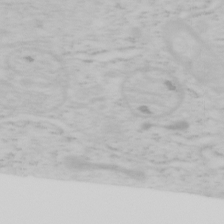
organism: Mouse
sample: OT-I killer T cells with ID8 ovarian cancer cells